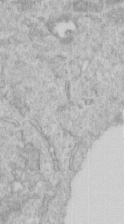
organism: Human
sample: Centriole in RPE cells